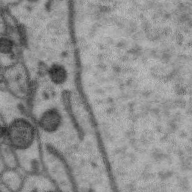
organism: Zebra finch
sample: Brain